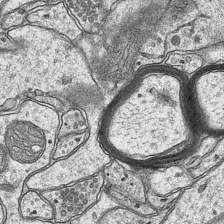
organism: Mouse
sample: CA1 Hippocampus